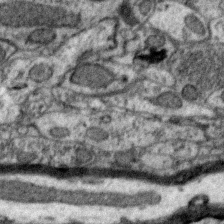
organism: Zebra finch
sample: Brain